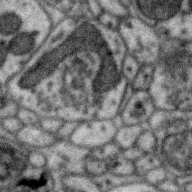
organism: Zebra finch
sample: Brain